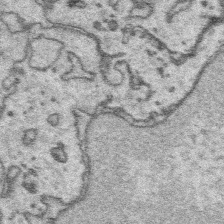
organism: Platynereis dumerilii